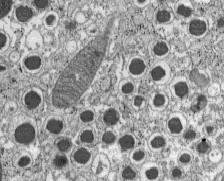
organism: C57BL Mouse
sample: Pancreatic islet